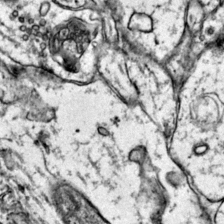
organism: Mouse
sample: Primary visual cortex